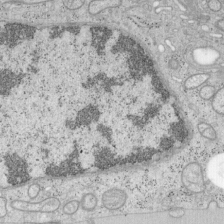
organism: Mouse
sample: OT-I killer T cells with ID8 ovarian cancer cells